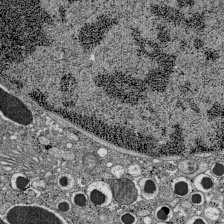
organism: C57BL Mouse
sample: Pancreatic islet